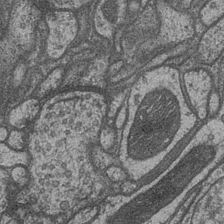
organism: Drosophila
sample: Optic medulla